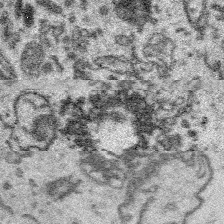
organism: Platynereis dumerilii